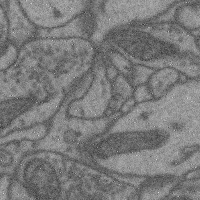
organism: Mouse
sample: Cerebral cortex